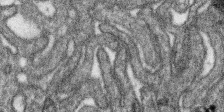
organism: Human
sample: Lung epithelial cells infected with SARS-CoV-2